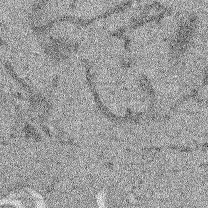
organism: Human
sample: HeLa cells